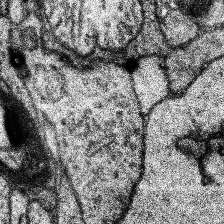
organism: Human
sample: Temporal Lobe